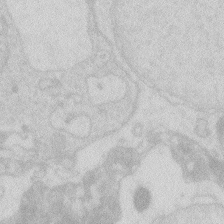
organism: Zebrafish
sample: Macrophage